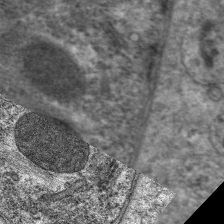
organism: C. elegans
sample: Pharynx